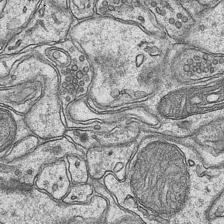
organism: Mouse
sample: CA1 Hippocampus